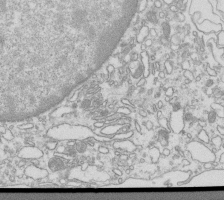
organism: Mouse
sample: Macrophages